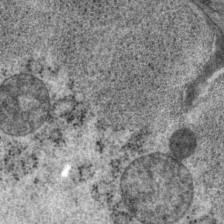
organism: P. pacificus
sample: Pharynx